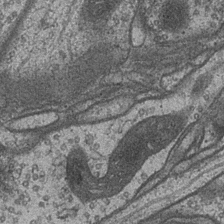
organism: Drosophila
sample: Optic medulla